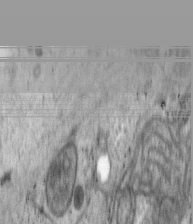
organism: Human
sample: HeLa cells